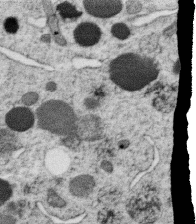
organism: C. elegans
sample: C. elegans oocyte; sperm cells